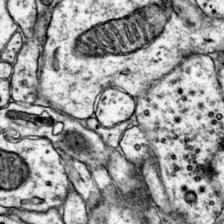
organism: Mouse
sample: Primary visual cortex